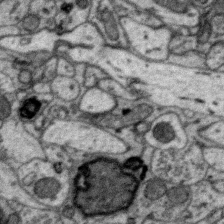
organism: Zebra finch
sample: Brain